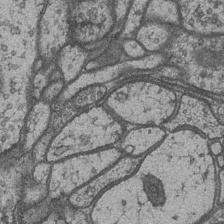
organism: Drosophila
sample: Optic medulla